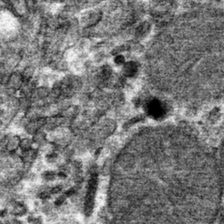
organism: Mouse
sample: Mouse hepatocytes